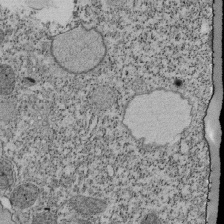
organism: Tetrahymena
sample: Cilia in tetrahymena